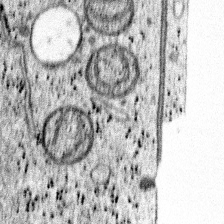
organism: Human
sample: HeLa cells